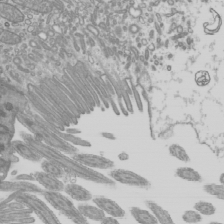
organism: Mouse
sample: Cilia; mouse epididymis